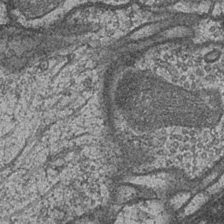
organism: Drosophila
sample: Optic medulla